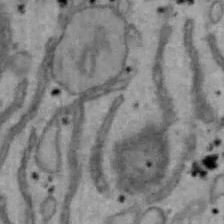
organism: Mouse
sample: Liver